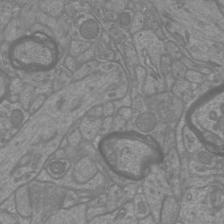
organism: Mouse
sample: Cortical neurons